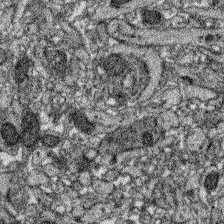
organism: Zebrafish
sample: Larval olfactory bulb